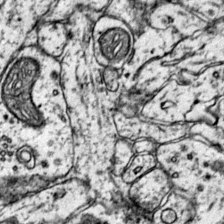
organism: Mouse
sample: Primary visual cortex